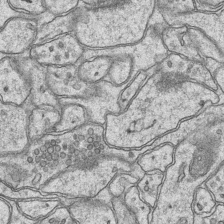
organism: Mouse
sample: CA1 Hippocampus